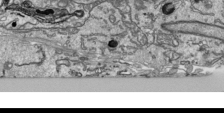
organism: Human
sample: Mitochondria in HCT116 cells